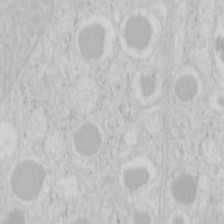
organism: Mouse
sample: Pancreas